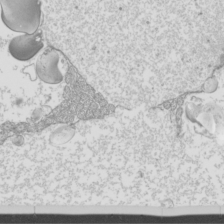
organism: Mouse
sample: Cilia; mouse epididymis